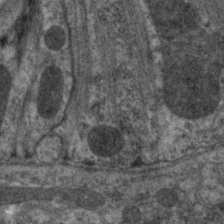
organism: C. elegans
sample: Pharynx